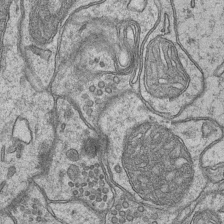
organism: Mouse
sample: CA1 Hippocampus